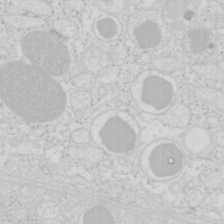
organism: Mouse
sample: Pancreas